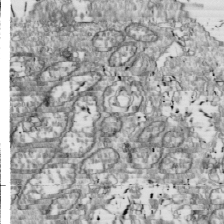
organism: Drosophila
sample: Cell division; meiosis; drosophila spermatocytes